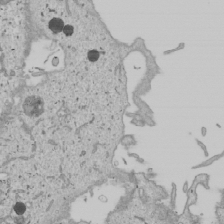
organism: Human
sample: Mitochondria in U2OS cells